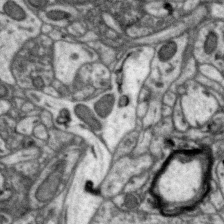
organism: Zebra finch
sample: Brain